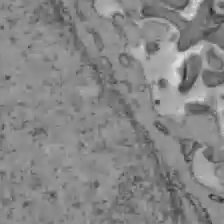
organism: C57BL Mouse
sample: Liver